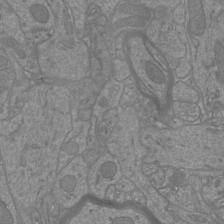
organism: Mouse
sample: Cortical neurons